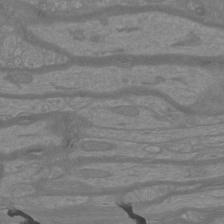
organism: Mouse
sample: Cortical neurons